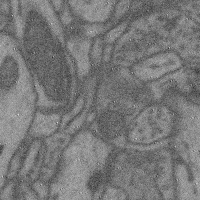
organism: Mouse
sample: Cerebral cortex